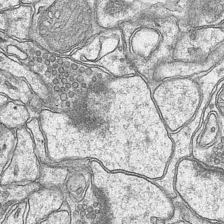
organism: Mouse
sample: CA1 Hippocampus